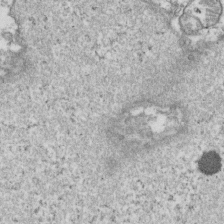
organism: Human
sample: Activated Jurkat CD4+ T cells